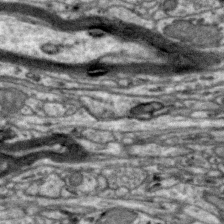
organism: Zebra finch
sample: Brain